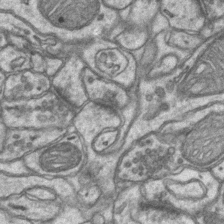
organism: Mouse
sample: CA1 Hippocampus